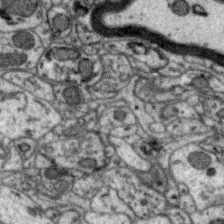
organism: Zebra finch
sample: Brain